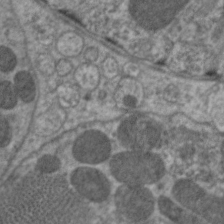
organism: C. elegans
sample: Pharynx